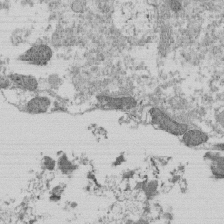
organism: Tetrahymena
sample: Cilia in tetrahymena